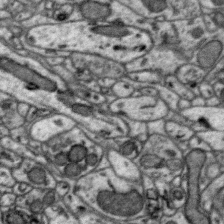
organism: Zebra finch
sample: Brain